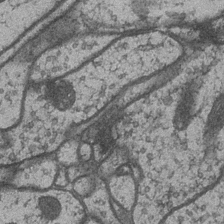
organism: Drosophila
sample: Optic medulla